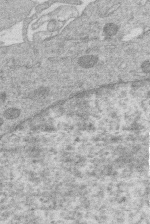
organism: Human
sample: Macrophage cells